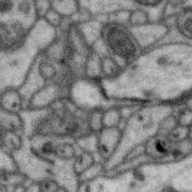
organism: Zebra finch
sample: Brain